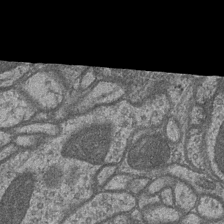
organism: Drosophila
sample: Optic medulla